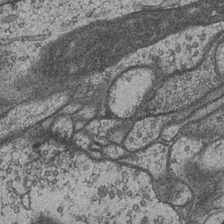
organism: Drosophila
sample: Optic medulla